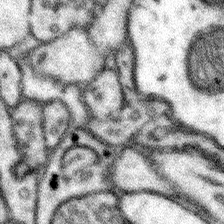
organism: Mouse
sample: Somatosensory cortex neuropil